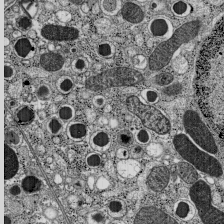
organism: C57BL Mouse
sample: Pancreatic islet